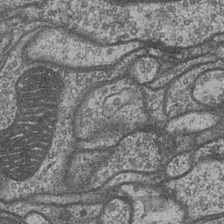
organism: Drosophila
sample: Optic medulla